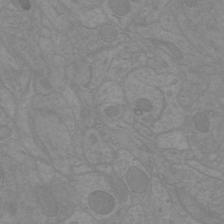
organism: Mouse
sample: Cortical neurons